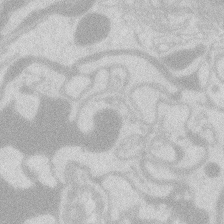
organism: Zebrafish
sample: Macrophage